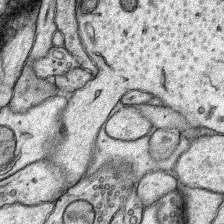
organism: Rat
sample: Hippocampus